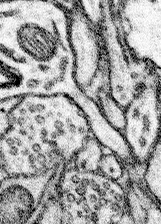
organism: Mouse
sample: Somatosensory cortex neuropil